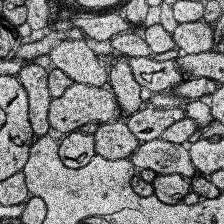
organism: Human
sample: Temporal Lobe